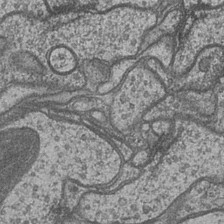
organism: Drosophila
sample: Optic medulla